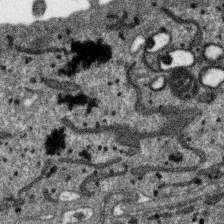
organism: Human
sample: Lung epithelial cells infected with SARS-CoV-2